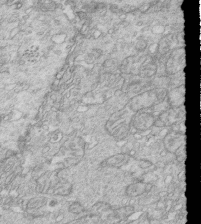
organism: Mouse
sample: Multiciliated cells